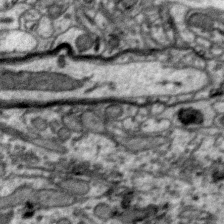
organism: Zebra finch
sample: Brain